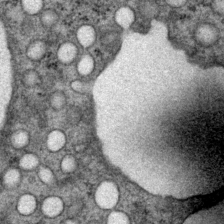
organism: P. pacificus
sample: Pharynx